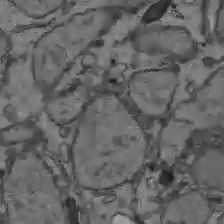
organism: C57BL Mouse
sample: Liver